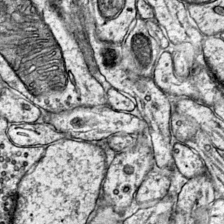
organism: Mouse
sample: Primary visual cortex